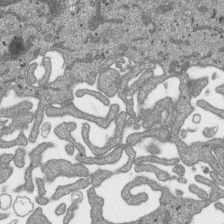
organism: Human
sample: Lung epithelial cells infected with SARS-CoV-2